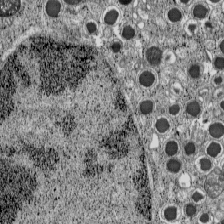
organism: C57BL Mouse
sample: Pancreatic islet